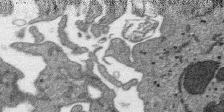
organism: Human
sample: Lung epithelial cells infected with SARS-CoV-2